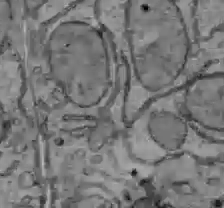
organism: C57BL Mouse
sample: Liver